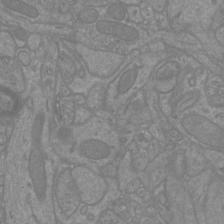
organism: Mouse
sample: Cortical neurons